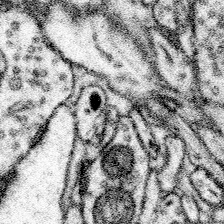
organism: Mouse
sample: Somatosensory cortex neuropil